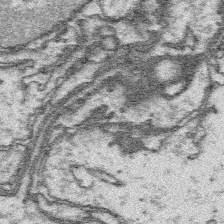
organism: Platynereis dumerilii